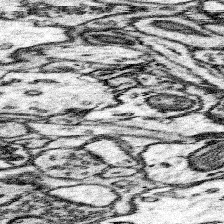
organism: Mouse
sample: Somatosensory cortex neuropil